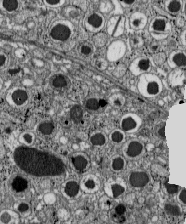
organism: C57BL Mouse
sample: Pancreatic islet